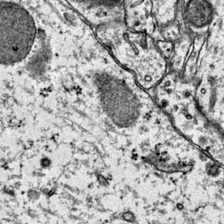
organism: Mouse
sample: Primary visual cortex